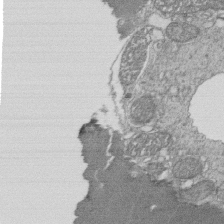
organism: Tetrahymena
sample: Cilia in tetrahymena